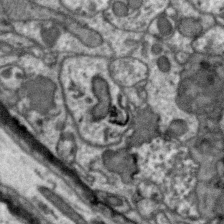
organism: Zebra finch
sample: Brain